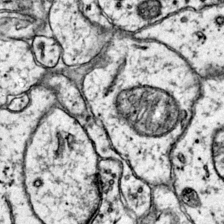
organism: Mouse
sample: Primary visual cortex